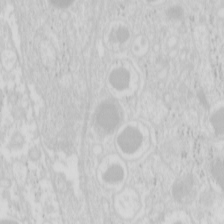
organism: Mouse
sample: Pancreas